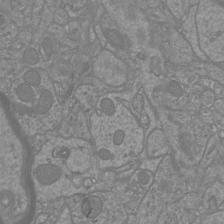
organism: Mouse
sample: Cortical neurons